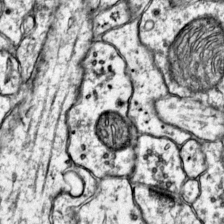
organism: Mouse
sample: Primary visual cortex